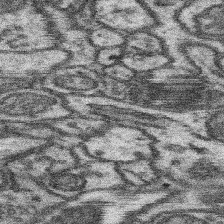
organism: Mouse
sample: Somatosensory cortex neuropil